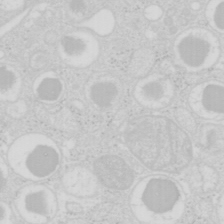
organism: Mouse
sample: Pancreas